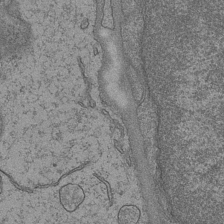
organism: Mouse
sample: CA1 Hippocampus